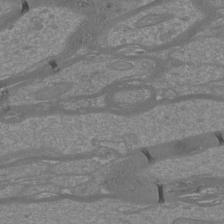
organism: Mouse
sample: Cortical neurons